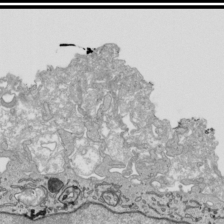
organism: Human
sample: Mitochondria in HCT116 cells